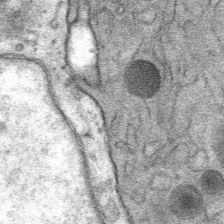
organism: Mouse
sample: Mouse Salivary gland